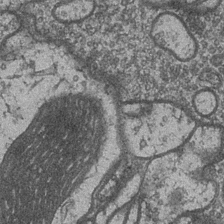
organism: Drosophila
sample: Optic medulla